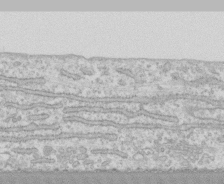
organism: Human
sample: CRL-1474